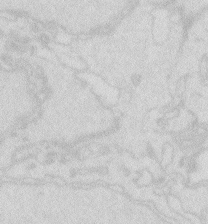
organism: Zebrafish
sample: Macrophage